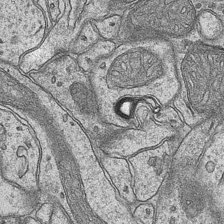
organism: Mouse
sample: CA1 Hippocampus